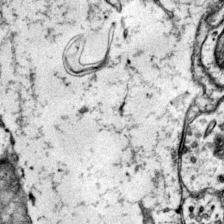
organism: Mouse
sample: Primary visual cortex